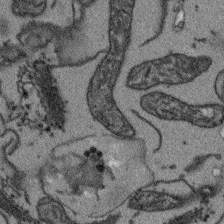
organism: Arabidopsis thaliana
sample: Root tip